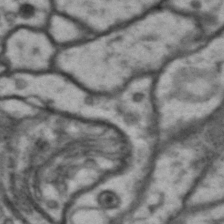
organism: Drosophila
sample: Brain